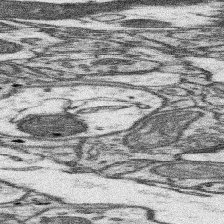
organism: Mouse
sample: Somatosensory cortex neuropil